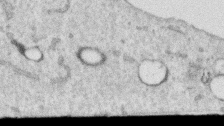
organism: Human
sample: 1205lu cells